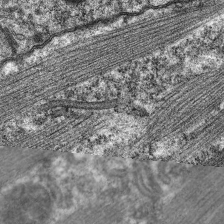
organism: C. elegans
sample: Pharynx